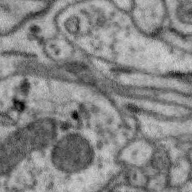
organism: Zebra finch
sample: Brain